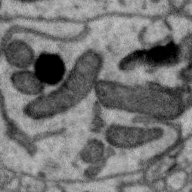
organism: Zebra finch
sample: Brain